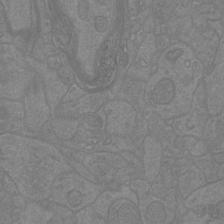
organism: Mouse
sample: Cortical neurons